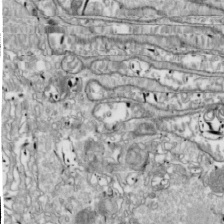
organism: Drosophila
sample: Cell division; meiosis; drosophila spermatocytes